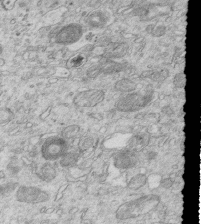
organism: Mouse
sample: Multiciliated cells